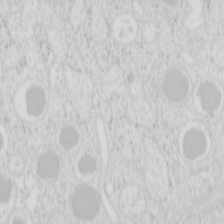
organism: Mouse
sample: Pancreas